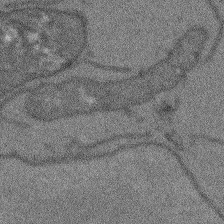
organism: Arabidopsis thaliana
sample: Root tip